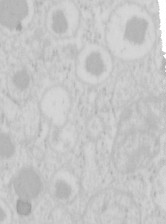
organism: Mouse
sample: Pancreas